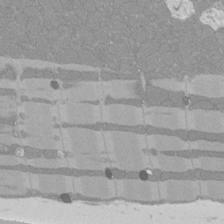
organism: Rat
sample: Left ventricle